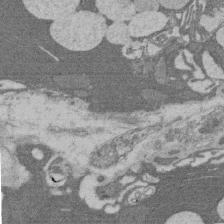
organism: Rat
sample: Salivary granule